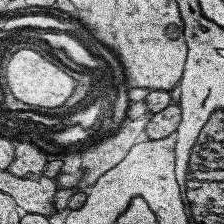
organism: Human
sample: Temporal Lobe